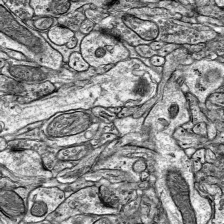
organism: Mouse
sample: Visual Cortex